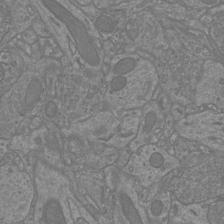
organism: Mouse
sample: Cortical neurons